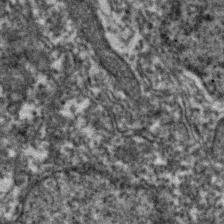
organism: Zebrafish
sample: Zebrafish embryo